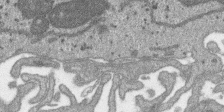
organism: Human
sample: Lung epithelial cells infected with SARS-CoV-2